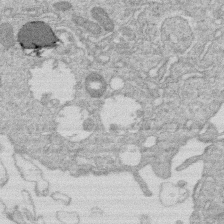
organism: Human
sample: Macrophage cells